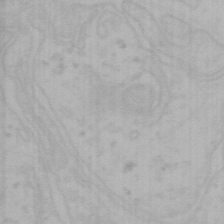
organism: Mouse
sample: Choroid plexus